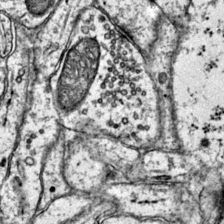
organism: Mouse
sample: Primary visual cortex